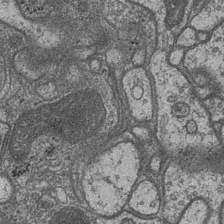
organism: Drosophila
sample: Optic medulla